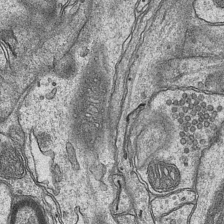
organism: Mouse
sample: CA1 Hippocampus